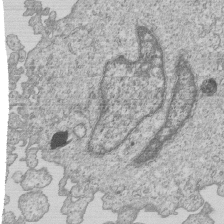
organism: Human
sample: MDA-MB-231 cells